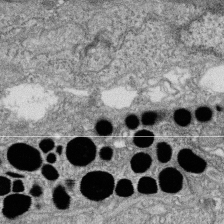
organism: Zebrafish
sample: Cilia; retinal pigment epithelium